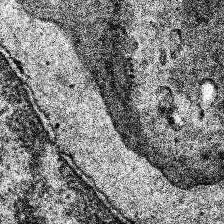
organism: Human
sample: Temporal Lobe